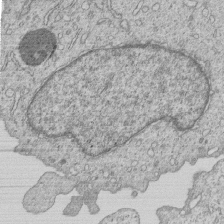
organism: Human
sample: MDA-MB-231 cells